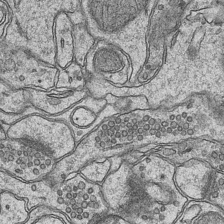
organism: Mouse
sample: CA1 Hippocampus